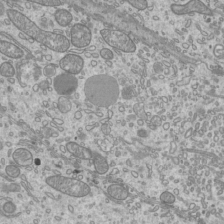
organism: Mouse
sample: Cilia; mouse epididymis